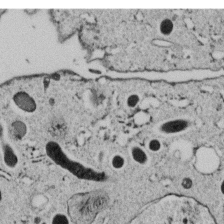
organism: C. elegans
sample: C. elegans embryo early stage